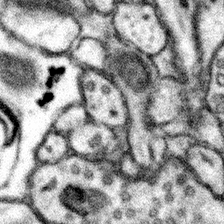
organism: Mouse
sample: Somatosensory cortex neuropil